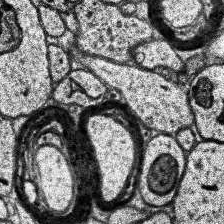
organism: Human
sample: Temporal Lobe